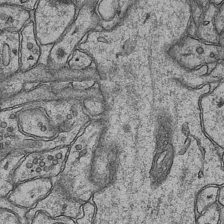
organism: Mouse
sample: CA1 Hippocampus